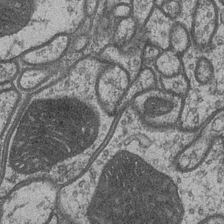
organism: Drosophila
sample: Optic medulla